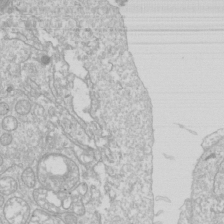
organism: Drosophila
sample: Cell division; meiosis; drosophila spermatocytes